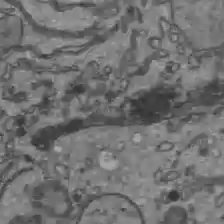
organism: C57BL Mouse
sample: Liver